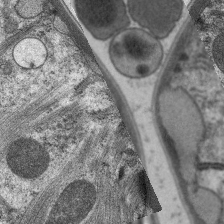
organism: C. elegans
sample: Pharynx